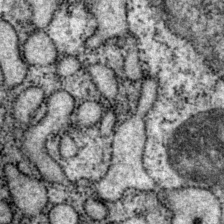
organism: P. pacificus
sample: Pharynx